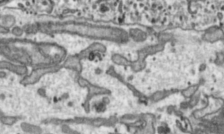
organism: Toxoplasma gondii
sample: Parasites in a vacuole inside a host cell